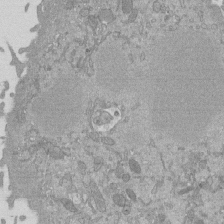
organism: Mouse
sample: ED-1 cell nuclei; centrioles